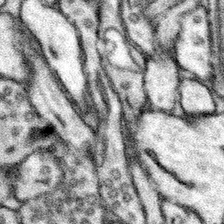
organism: Mouse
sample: Somatosensory cortex neuropil